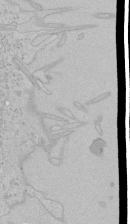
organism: Human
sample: Mitochondria in HCT116 cells